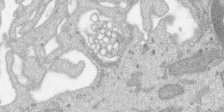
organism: Human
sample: Lung epithelial cells infected with SARS-CoV-2